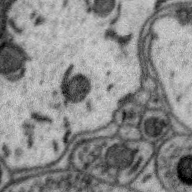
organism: Zebra finch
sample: Brain